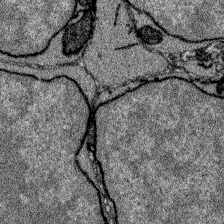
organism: Zebrafish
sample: Larval olfactory bulb